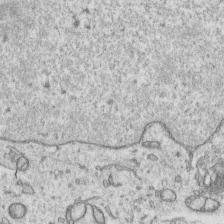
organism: Human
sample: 1205lu cells